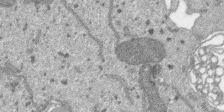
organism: Human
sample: Lung epithelial cells infected with SARS-CoV-2